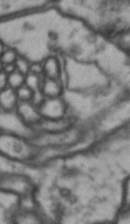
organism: Drosophila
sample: Brain